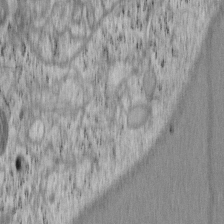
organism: Human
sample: HeLa cells